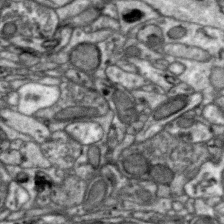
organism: Zebra finch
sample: Brain